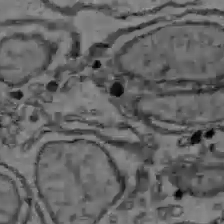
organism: C57BL Mouse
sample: Liver